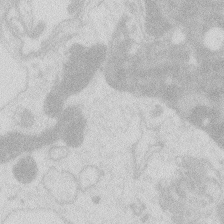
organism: Zebrafish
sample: Macrophage